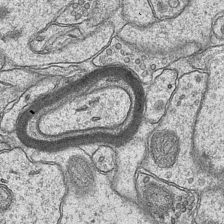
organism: Mouse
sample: CA1 Hippocampus